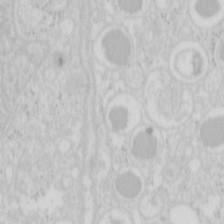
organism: Mouse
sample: Pancreas